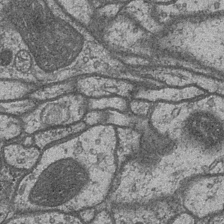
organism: Drosophila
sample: Optic medulla